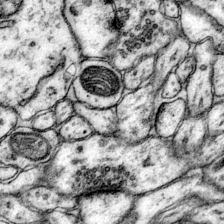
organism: Mouse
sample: Primary visual cortex